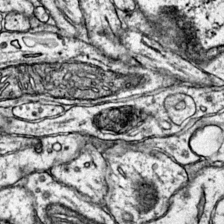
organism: Mouse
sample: Primary visual cortex